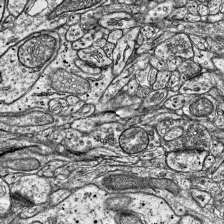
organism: Mouse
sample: Visual Cortex